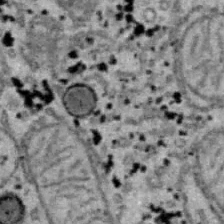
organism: Mouse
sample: Liver from an obese (ob/ob) mouse